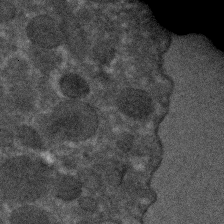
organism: C. elegans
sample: C. elegans embryo